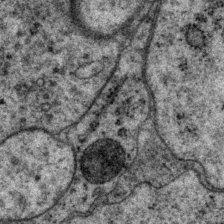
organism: P. pacificus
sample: Pharynx